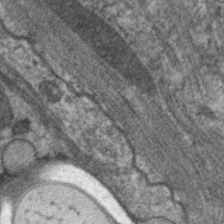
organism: C. elegans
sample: Pharynx